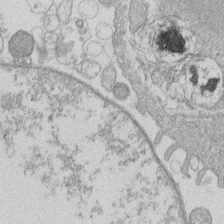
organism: Human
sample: Macrophage cells